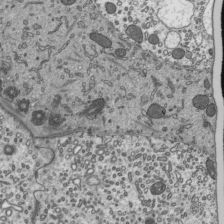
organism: Mouse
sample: Mouse epididymis efferent ductule cilia